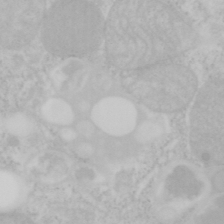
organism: Mouse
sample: OT-I killer T cells with ID8 ovarian cancer cells